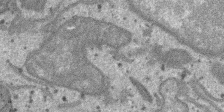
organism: Human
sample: Lung epithelial cells infected with SARS-CoV-2